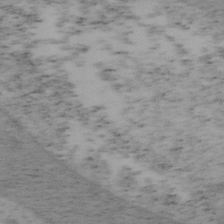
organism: Mouse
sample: OT-I killer T cells with ID8 ovarian cancer cells